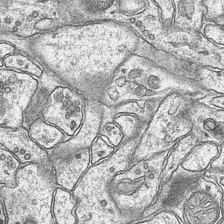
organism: Mouse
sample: CA1 Hippocampus